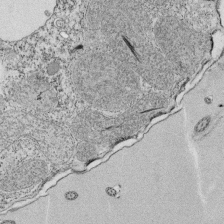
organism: Tetrahymena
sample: Cilia in tetrahymena